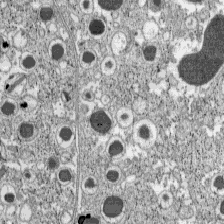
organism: C57BL Mouse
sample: Pancreatic islet